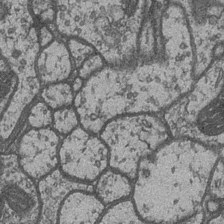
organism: Drosophila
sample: Optic medulla